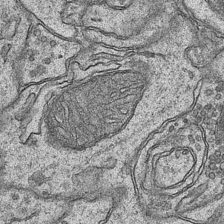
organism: Mouse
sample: CA1 Hippocampus